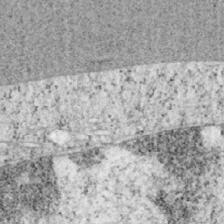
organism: Mouse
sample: OT-I killer T cells with ID8 ovarian cancer cells